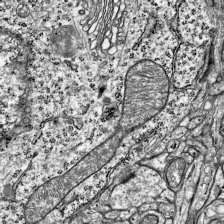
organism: Mouse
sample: Visual Cortex